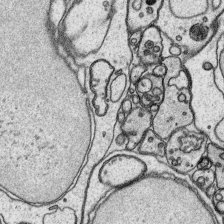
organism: Platynereis dumerilii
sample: Parapodia